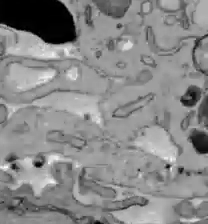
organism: C57BL Mouse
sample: Liver